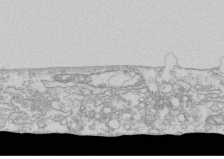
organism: Human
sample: CRL-1474